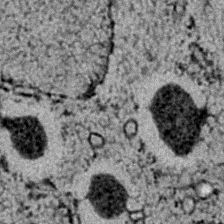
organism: C. elegans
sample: C. elegans embryo